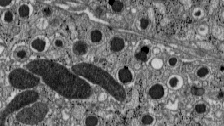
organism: C57BL Mouse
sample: Pancreatic islet